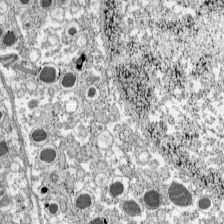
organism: C57BL Mouse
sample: Pancreatic islet